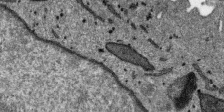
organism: Human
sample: Lung epithelial cells, uninfected (mock) control